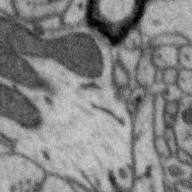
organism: Zebra finch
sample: Brain